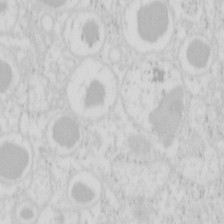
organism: Mouse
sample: Pancreas